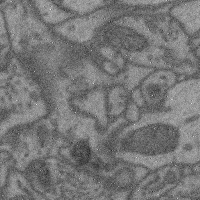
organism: Mouse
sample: Cerebral cortex